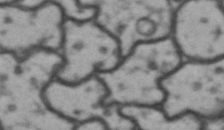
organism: Drosophila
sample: Brain